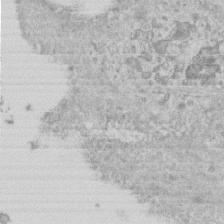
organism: Mouse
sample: Centriole in ependymal cells